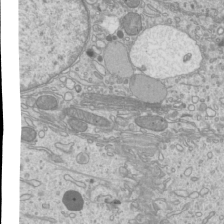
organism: Mouse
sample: Cilia; mouse epididymis